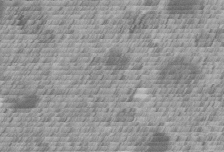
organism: C. elegans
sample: C. elegans embryo early stage